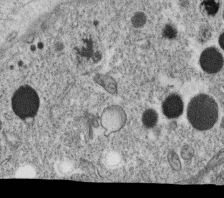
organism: C. elegans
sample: C. elegans oocyte; sperm cells